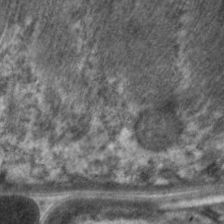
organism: C. elegans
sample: Pharynx